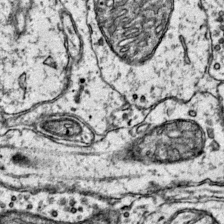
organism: Mouse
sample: Primary visual cortex